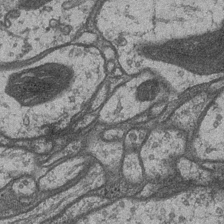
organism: Drosophila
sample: Optic medulla